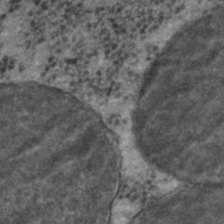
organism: C. elegans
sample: C. elegans embryo